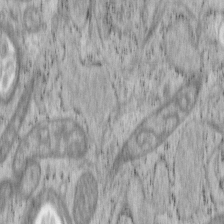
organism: Human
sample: HeLa cells